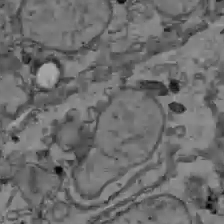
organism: C57BL Mouse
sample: Liver